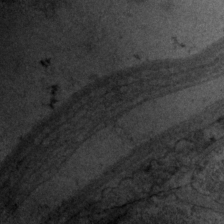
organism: P. pacificus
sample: Pharynx